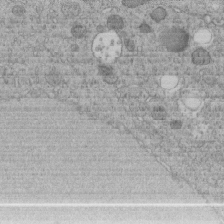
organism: C. elegans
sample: C. elegans embryo early stage